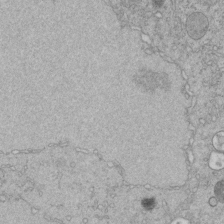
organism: C. elegans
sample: C. elegans embryo early stage